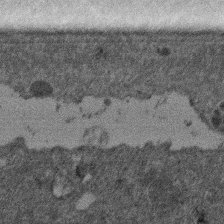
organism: Mouse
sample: Dividing mouse embryo 1 cell stage